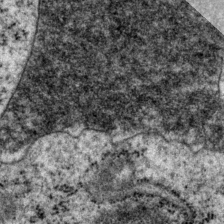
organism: P. pacificus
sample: Pharynx